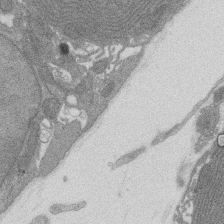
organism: Rat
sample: Salivary granule